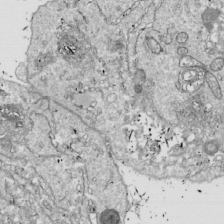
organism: Drosophila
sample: Cell division; meiosis; drosophila spermatocytes